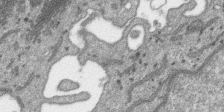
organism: Human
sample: Lung epithelial cells infected with SARS-CoV-2